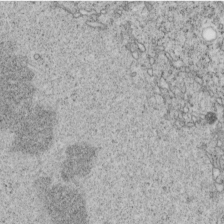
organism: C. elegans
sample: C. elegans embryo early stage